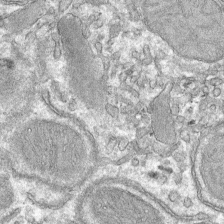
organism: Mouse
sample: Mouse hepatocytes